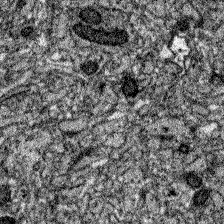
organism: Zebrafish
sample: Larval olfactory bulb